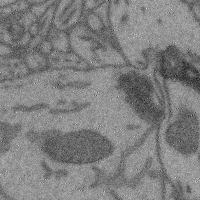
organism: Mouse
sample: Cerebral cortex